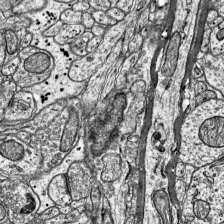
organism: Mouse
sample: Visual Cortex